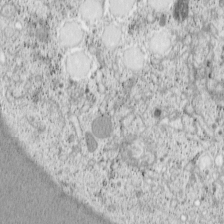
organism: African green monkey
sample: COS-7 cells